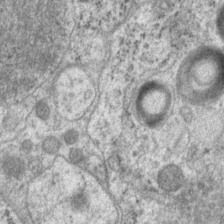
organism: P. pacificus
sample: Pharynx